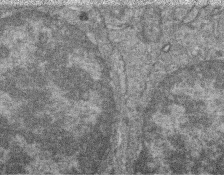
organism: Zebrafish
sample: Cilia; retinal pigment epithelium